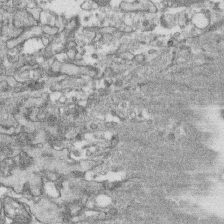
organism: Human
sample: CRL-1474